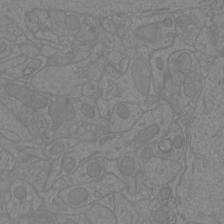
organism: Mouse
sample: Cortical neurons